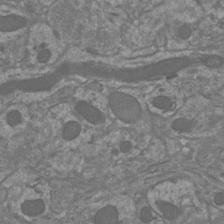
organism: Mouse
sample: Cortical neurons